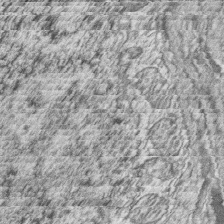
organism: Zebrafish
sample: synaptic ribbons in rod cells and cone cells